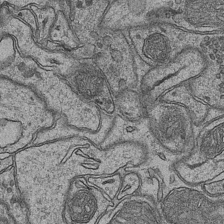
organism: Mouse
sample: CA1 Hippocampus